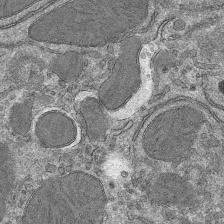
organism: Mouse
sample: Mouse hepatocytes